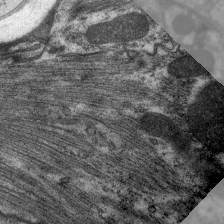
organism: C. elegans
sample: Pharynx